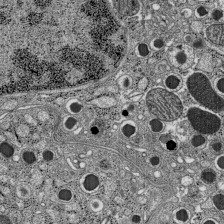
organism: C57BL Mouse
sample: Pancreatic islet